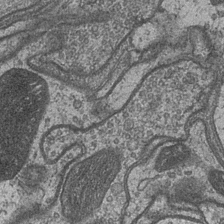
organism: Drosophila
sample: Optic medulla